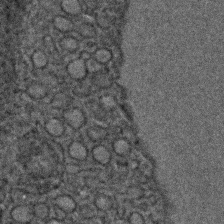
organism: C. elegans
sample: C. elegans embryo